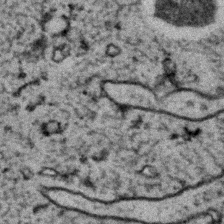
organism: C. elegans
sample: C. elegans embryo